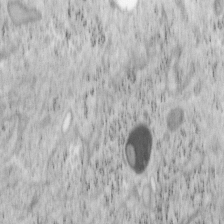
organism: Human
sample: HeLa cells